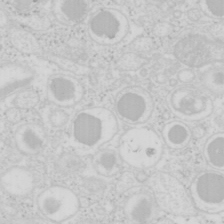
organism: Mouse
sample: Pancreas